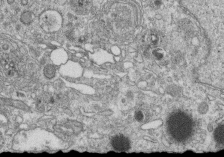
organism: Human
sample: HeLa cell HIV synapse